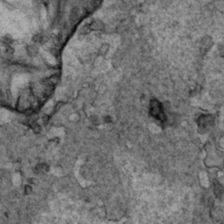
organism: Human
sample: Mitochondria in HCT116 cells